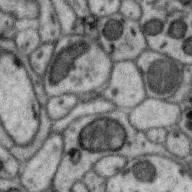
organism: Zebra finch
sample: Brain